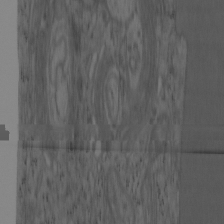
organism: Human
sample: HeLa cells